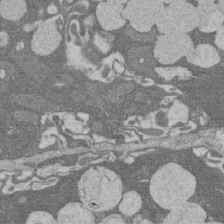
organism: Rat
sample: Salivary granule